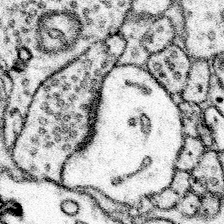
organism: Mouse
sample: Somatosensory cortex neuropil